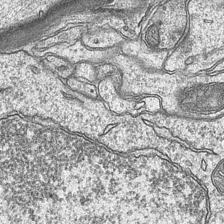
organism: Mouse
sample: CA1 Hippocampus